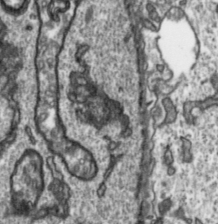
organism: Toxoplasma gondii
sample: Parasites in a vacuole inside a host cell